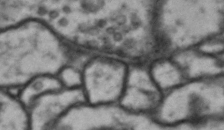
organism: Drosophila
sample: Brain